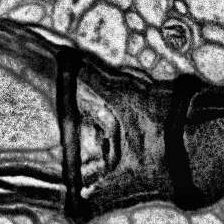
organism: Human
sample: Temporal Lobe